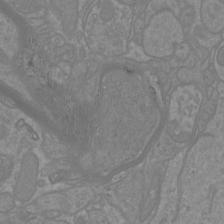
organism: Mouse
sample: Cortical neurons